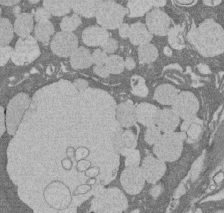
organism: Rat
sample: Salivary granule